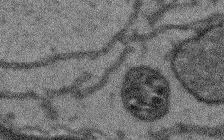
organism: Arabidopsis thaliana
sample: Root tip